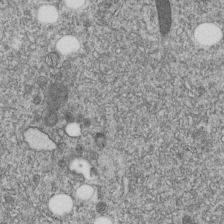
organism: C. elegans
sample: C. elegans embryo early stage